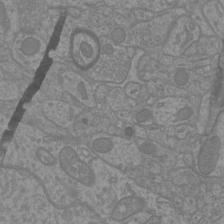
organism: Mouse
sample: Cortical neurons